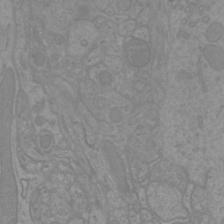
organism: Mouse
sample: Cortical neurons